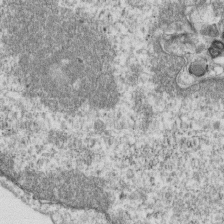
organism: Mouse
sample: Activated OT-1 CD8+ T cells